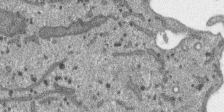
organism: Human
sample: Lung epithelial cells infected with SARS-CoV-2